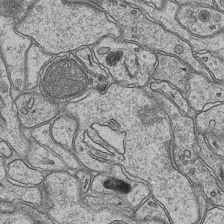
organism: Mouse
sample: CA1 Hippocampus